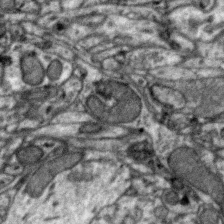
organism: Zebra finch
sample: Brain